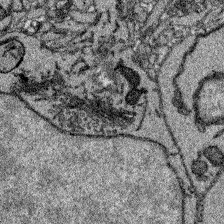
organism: Zebrafish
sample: Larval olfactory bulb